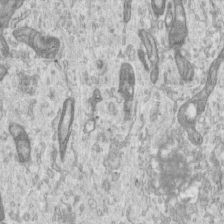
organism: Human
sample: Centriole in RPE cells